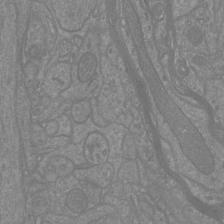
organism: Mouse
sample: Cortical neurons